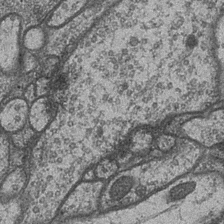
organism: Drosophila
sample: Optic medulla